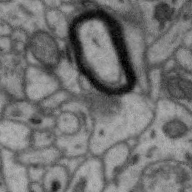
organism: Zebra finch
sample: Brain